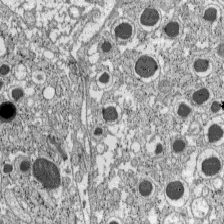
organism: C57BL Mouse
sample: Pancreatic islet